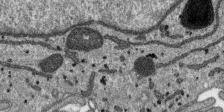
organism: Human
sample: Lung epithelial cells, uninfected (mock) control